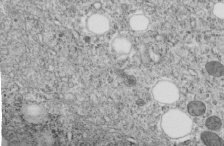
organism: C. elegans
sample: C. elegans embryo early stage